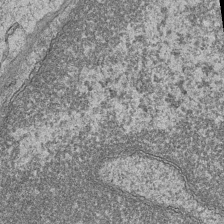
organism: Mouse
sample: CA1 Hippocampus